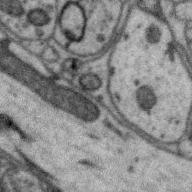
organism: Zebra finch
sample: Brain